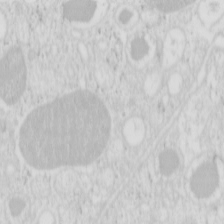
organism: Mouse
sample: Pancreas